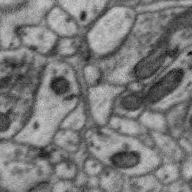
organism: Zebra finch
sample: Brain